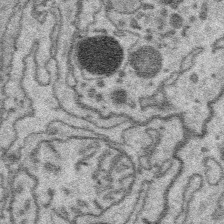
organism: Platynereis dumerilii